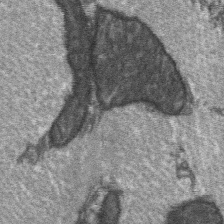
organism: C57BL Mouse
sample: Soleus